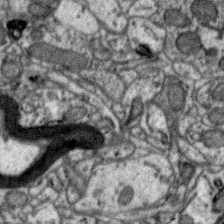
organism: Zebra finch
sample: Brain